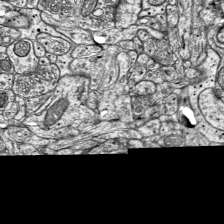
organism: Mouse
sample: Visual Cortex